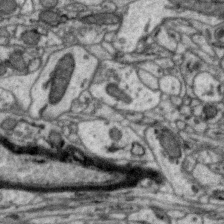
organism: Zebra finch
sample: Brain